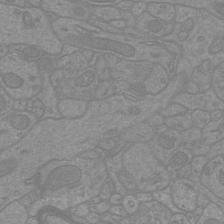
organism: Mouse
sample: Cortical neurons